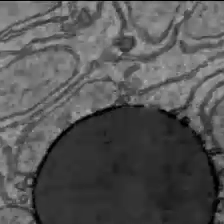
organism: C57BL Mouse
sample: Liver